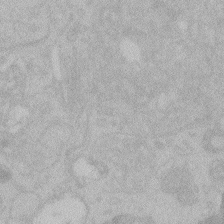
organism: Zebrafish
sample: Macrophage infected with Toxoplasma gondii